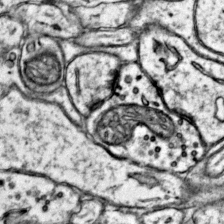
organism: Mouse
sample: Primary visual cortex